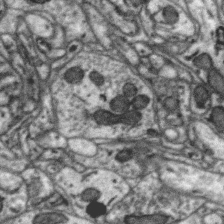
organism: Zebra finch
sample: Brain